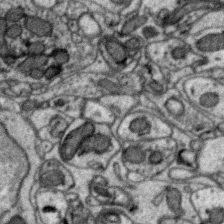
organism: Zebra finch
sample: Brain